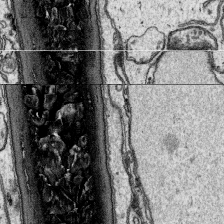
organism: Platynereis dumerilii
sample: Parapodia